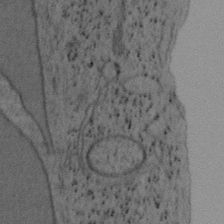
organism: Human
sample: HeLa cells